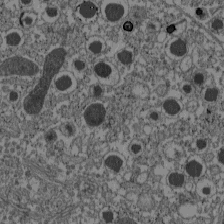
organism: C57BL Mouse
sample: Pancreatic islet